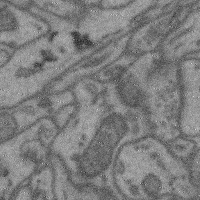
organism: Mouse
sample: Cerebral cortex